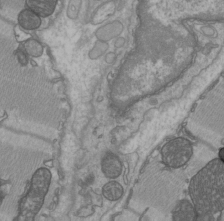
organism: C57BL Mouse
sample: Heart